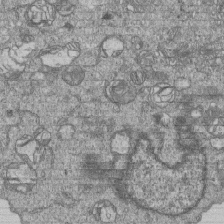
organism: Human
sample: MDA-MB-231 cells